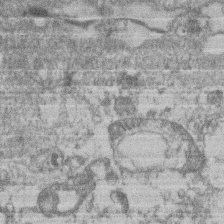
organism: Mouse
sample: T cell stromal cell synapse